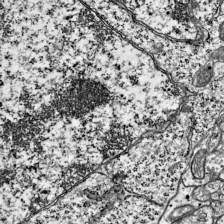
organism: Mouse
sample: Visual Cortex